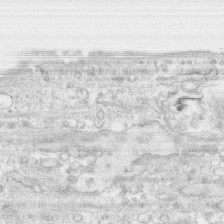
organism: Human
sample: CRL-1474